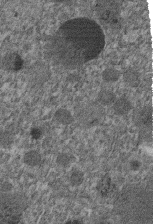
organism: C. elegans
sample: C. elegans embryo early stage